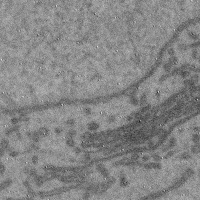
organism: Mouse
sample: Cerebral cortex